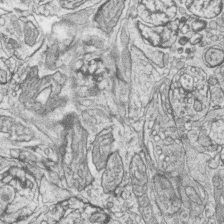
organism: Zebrafish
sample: synaptic ribbons in rod cells and cone cells